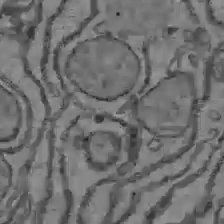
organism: C57BL Mouse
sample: Liver